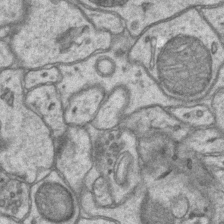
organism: Mouse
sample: CA1 Hippocampus